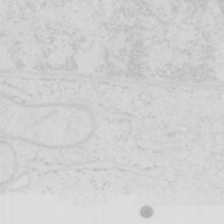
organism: Human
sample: SUM-159 cell